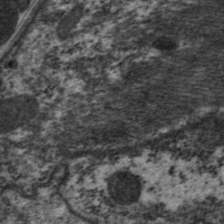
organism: C. elegans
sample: Pharynx